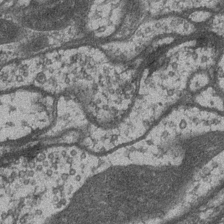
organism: Drosophila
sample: Optic medulla